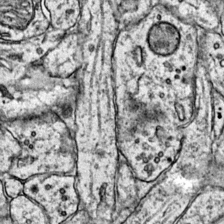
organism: Mouse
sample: Primary visual cortex